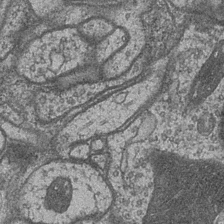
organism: Drosophila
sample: Optic medulla